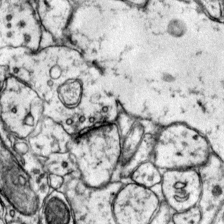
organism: Mouse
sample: Primary visual cortex